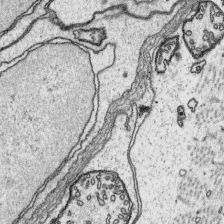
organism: Platynereis dumerilii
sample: Parapodia